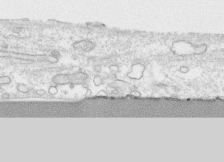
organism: Human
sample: CRL-1474